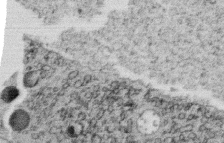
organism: C. elegans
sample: C. elegans oocyte; sperm cells